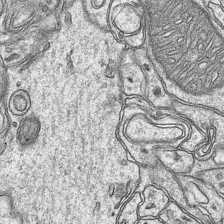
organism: Mouse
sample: CA1 Hippocampus